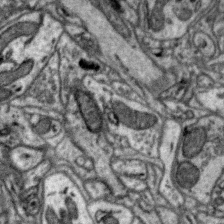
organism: Zebra finch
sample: Brain